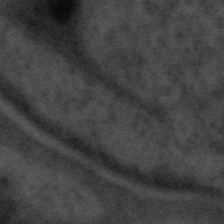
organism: Tuwongella immobilis